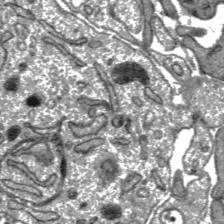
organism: C57BL Mouse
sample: Liver